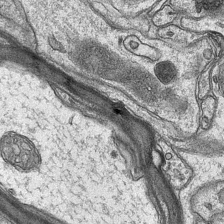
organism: Mouse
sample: CA1 Hippocampus